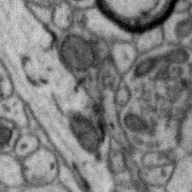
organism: Zebra finch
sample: Brain